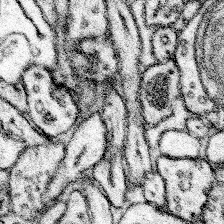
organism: Mouse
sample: Somatosensory cortex neuropil